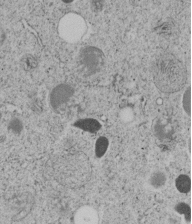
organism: C. elegans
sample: C. elegans embryo early stage